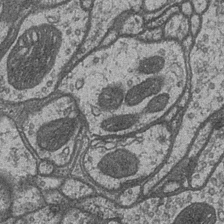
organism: Drosophila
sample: Optic medulla